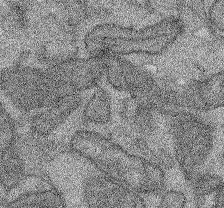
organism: Human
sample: HeLa cells